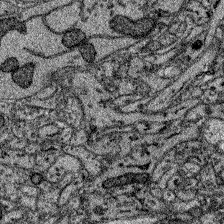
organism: Zebrafish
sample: Larval olfactory bulb